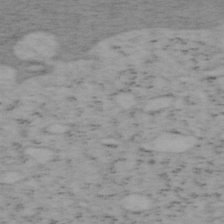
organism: Mouse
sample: OT-I killer T cells with ID8 ovarian cancer cells